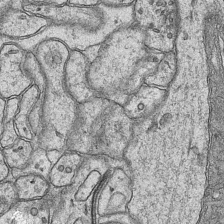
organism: Mouse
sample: CA1 Hippocampus